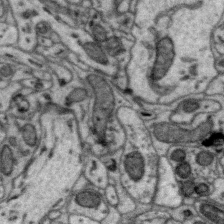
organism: Zebra finch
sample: Brain